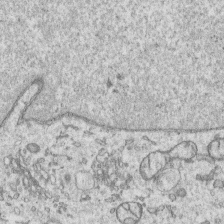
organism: Human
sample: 1205lu cells